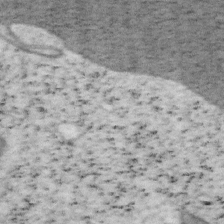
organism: Mouse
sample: OT-I killer T cells with ID8 ovarian cancer cells